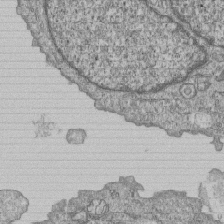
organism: Human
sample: MDA-MB-231 cells